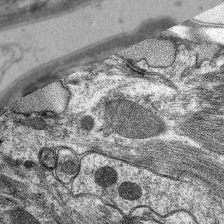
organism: C. elegans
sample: Pharynx